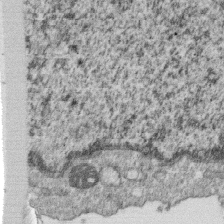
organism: African green monkey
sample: Vero E6 cells infected with SARS-CoV-2